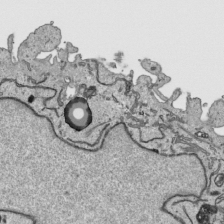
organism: Human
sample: Mitochondria in HCT116 cells